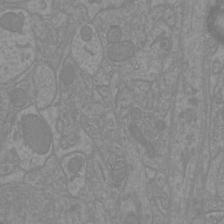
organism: Mouse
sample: Cortical neurons